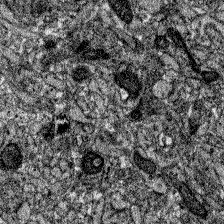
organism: Zebrafish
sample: Larval olfactory bulb